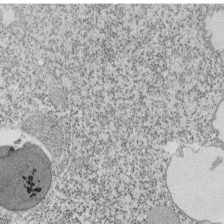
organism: Tetrahymena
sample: Cilia in tetrahymena